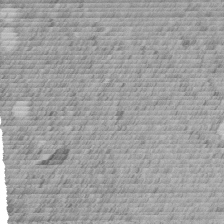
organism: C. elegans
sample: C. elegans embryo early stage